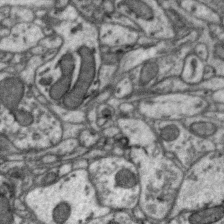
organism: Zebra finch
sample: Brain